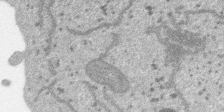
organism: Human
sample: Lung epithelial cells infected with SARS-CoV-2